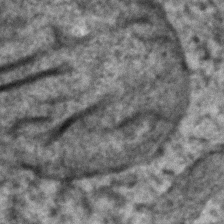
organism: Zebrafish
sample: Zebrafish embryo